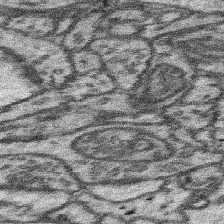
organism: Mouse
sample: Somatosensory cortex neuropil